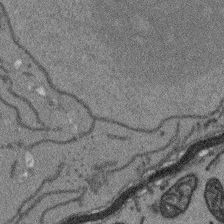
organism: Arabidopsis thaliana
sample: Root tip